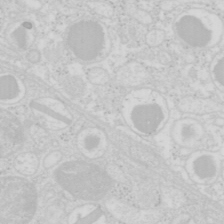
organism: Mouse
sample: Pancreas